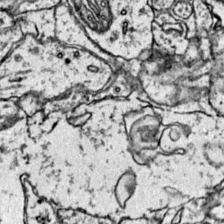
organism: Mouse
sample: Primary visual cortex